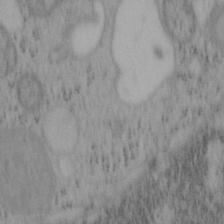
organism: Mouse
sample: OT-I killer T cells with ID8 ovarian cancer cells